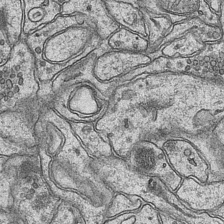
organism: Mouse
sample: CA1 Hippocampus